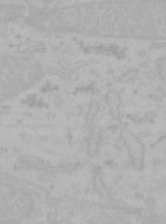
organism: Mouse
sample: Choroid plexus